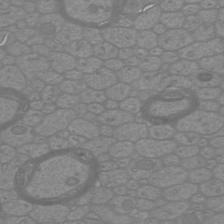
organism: Mouse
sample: Cortical neurons